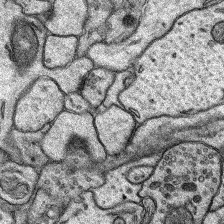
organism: Rat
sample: Hippocampus